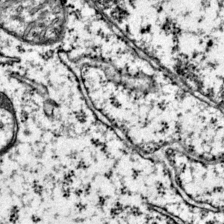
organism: Mouse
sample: Primary visual cortex